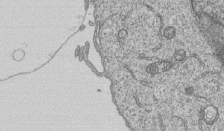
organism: Human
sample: MDA-MB-231 cells